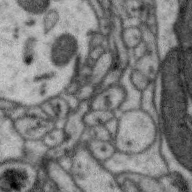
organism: Zebra finch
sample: Brain